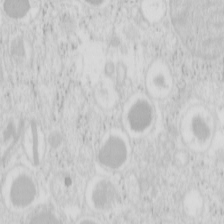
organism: Mouse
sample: Pancreas